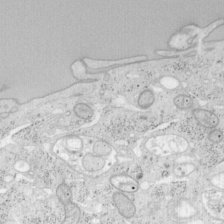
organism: Mouse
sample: OT-I killer T cells with ID8 ovarian cancer cells